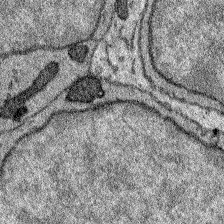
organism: Zebrafish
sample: Larval olfactory bulb